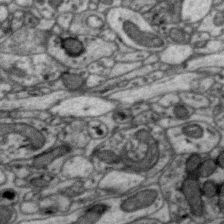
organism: Zebra finch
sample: Brain